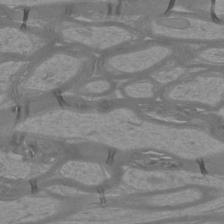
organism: Mouse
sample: Cortical neurons